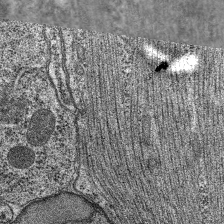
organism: C. elegans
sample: Pharynx